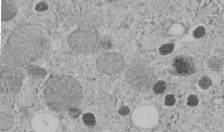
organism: C. elegans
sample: C. elegans embryo early stage